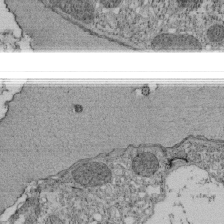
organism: Tetrahymena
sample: Cilia in tetrahymena